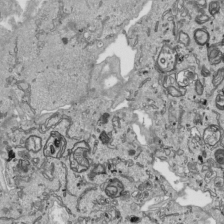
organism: Human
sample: Mitochondria in HCT116 cells